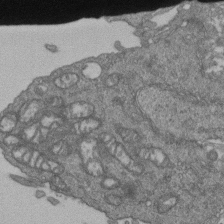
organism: Human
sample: Retinal organoid Rod and Cone cells